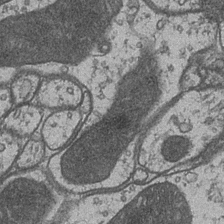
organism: Drosophila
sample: Optic medulla